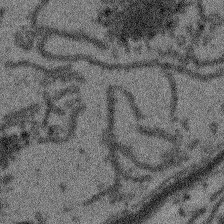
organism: Arabidopsis thaliana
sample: Root tip